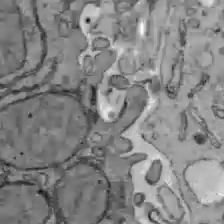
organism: C57BL Mouse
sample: Liver